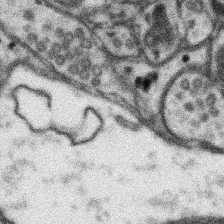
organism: Mouse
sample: Somatosensory cortex neuropil